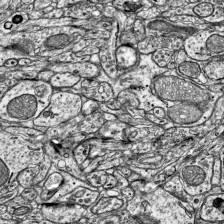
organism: Mouse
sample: Visual Cortex